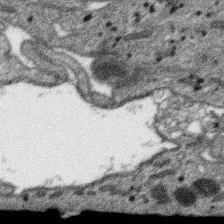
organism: Human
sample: Lung epithelial cells infected with SARS-CoV-2